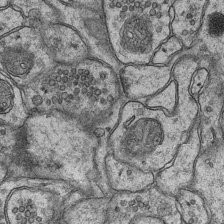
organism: Mouse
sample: CA1 Hippocampus